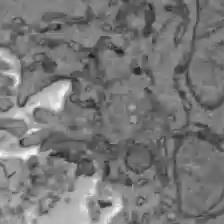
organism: C57BL Mouse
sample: Liver